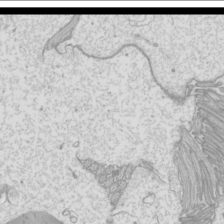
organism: Mouse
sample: Cilia; mouse epididymis